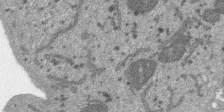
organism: Human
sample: Lung epithelial cells infected with SARS-CoV-2